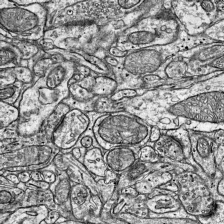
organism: Mouse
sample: Visual Cortex